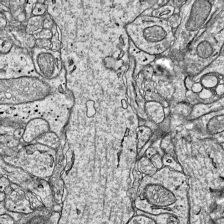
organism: Mouse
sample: Visual Cortex